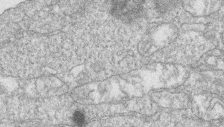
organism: Human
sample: HeLa cell HIV synapse